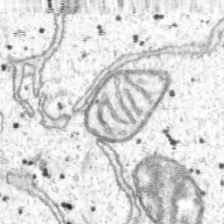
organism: Human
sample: HeLa cells